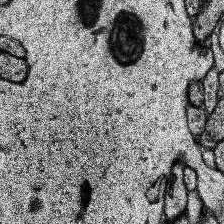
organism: Human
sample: Temporal Lobe